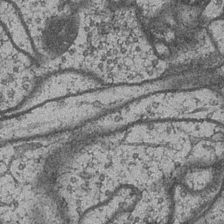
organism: Drosophila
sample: Optic medulla